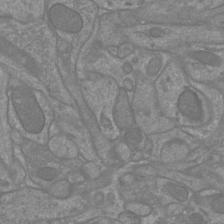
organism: Mouse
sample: Cortical neurons